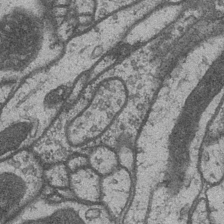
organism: Drosophila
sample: Optic medulla